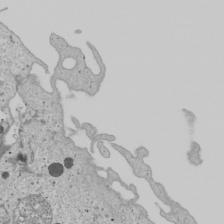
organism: Human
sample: Mitochondria in U2OS cells